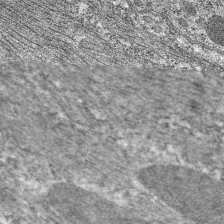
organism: C. elegans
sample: Pharynx